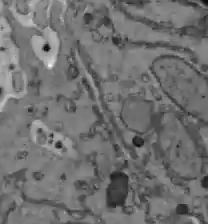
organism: C57BL Mouse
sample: Liver